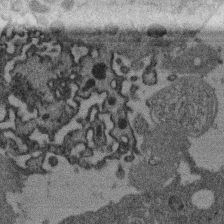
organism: Mouse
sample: Dividing mouse embryo 1 cell stage